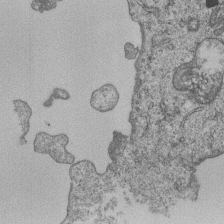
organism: Human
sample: MDA-MB-231 cells